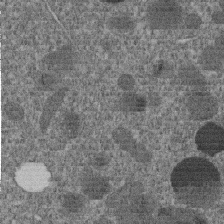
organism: C. elegans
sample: C. elegans embryo early stage